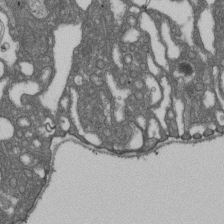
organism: Drosophila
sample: Nephrocyte